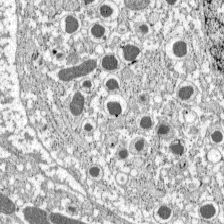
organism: C57BL Mouse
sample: Pancreatic islet